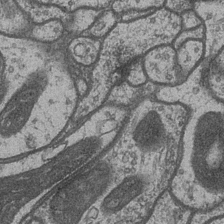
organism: Drosophila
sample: Optic medulla